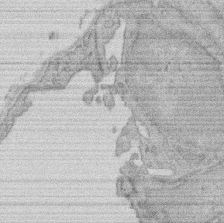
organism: Rat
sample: Salivary granule